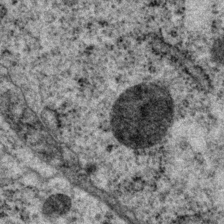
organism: P. pacificus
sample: Pharynx